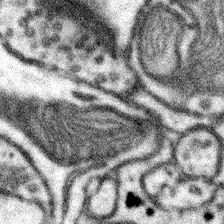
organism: Mouse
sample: Somatosensory cortex neuropil